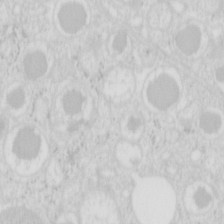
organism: Mouse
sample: Pancreas